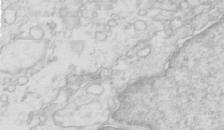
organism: Mouse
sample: Multiciliated cells